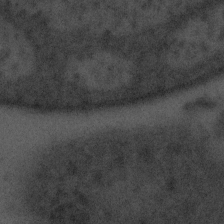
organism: Tuwongella immobilis